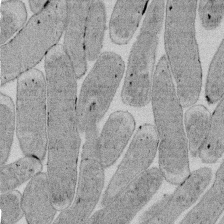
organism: E. coli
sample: Bacterial nucleoid